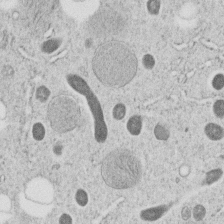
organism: C. elegans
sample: C. elegans embryo early stage